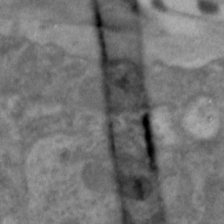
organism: C. elegans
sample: Pharynx